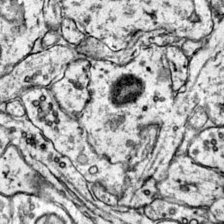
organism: Mouse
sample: Primary visual cortex